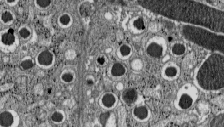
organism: C57BL Mouse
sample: Pancreatic islet